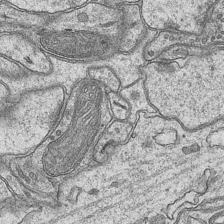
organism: Mouse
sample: CA1 Hippocampus